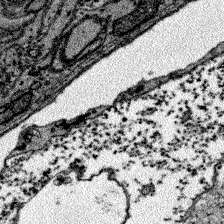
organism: Zebrafish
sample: Larval olfactory bulb